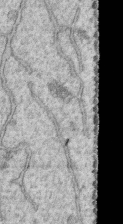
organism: Human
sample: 1205lu cells